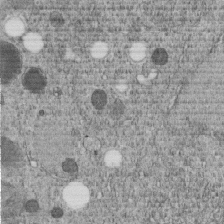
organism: C. elegans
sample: C. elegans embryo early stage